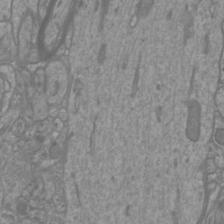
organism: Mouse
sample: Cortical neurons